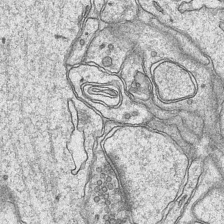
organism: Mouse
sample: CA1 Hippocampus